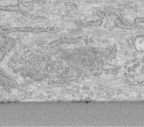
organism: Human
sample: Centriole in fibroblast cells